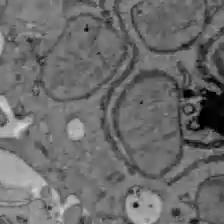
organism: C57BL Mouse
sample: Liver